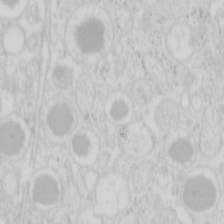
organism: Mouse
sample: Pancreas